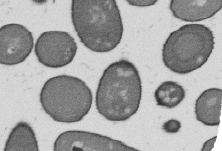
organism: B. subtilis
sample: Bacterial spore